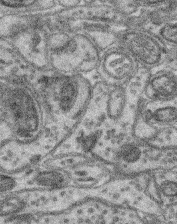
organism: Mouse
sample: Retina